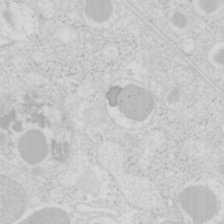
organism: Mouse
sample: Pancreas